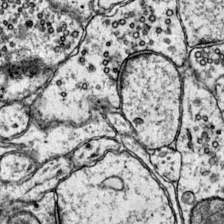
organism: Mouse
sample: Primary visual cortex